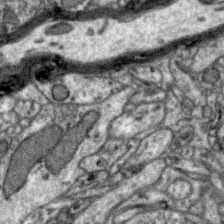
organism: Zebra finch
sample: Brain